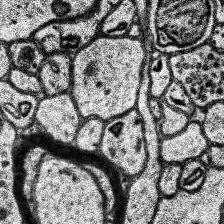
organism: Human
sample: Temporal Lobe